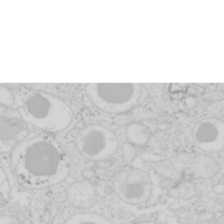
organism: Mouse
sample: Pancreas